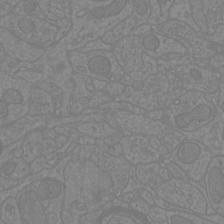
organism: Mouse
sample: Cortical neurons